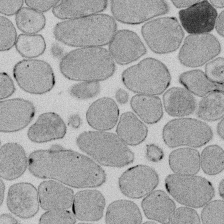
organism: E. coli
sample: Bacterial nucleoid